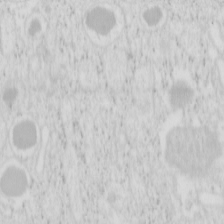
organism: Mouse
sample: Pancreas